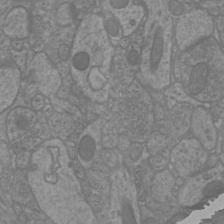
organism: Mouse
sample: Cortical neurons